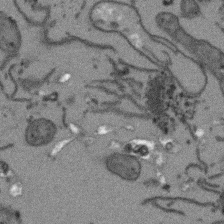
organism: Arabidopsis thaliana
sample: Root tip